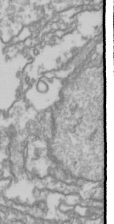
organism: Drosophila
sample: Cell division; meiosis; drosophila spermatocytes